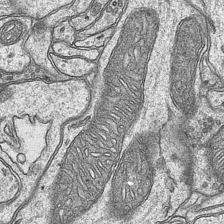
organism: Mouse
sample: CA1 Hippocampus